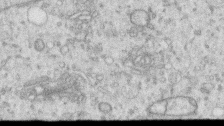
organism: Human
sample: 1205lu cells